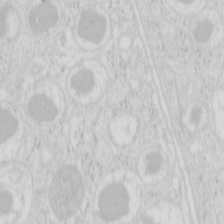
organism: Mouse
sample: Pancreas